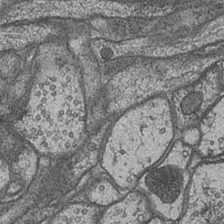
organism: Drosophila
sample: Optic medulla